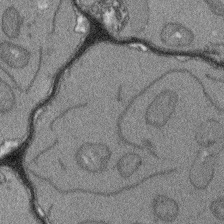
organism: Arabidopsis thaliana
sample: Root tip